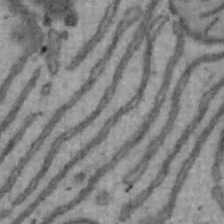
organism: Mouse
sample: Liver